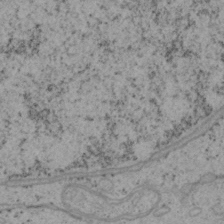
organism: Human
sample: HeLa cells